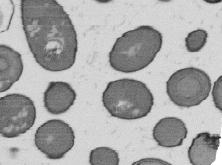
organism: B. subtilis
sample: Bacterial spore